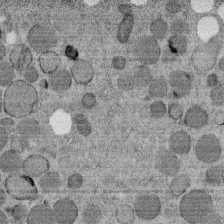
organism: C. elegans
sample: C. elegans embryo early stage